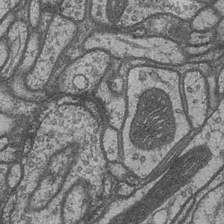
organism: Drosophila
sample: Optic medulla